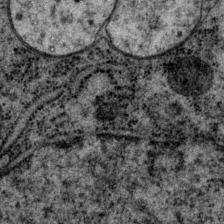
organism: P. pacificus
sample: Pharynx